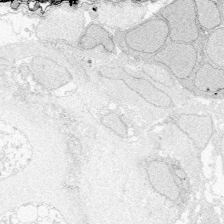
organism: Zebrafish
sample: Whole-Brain